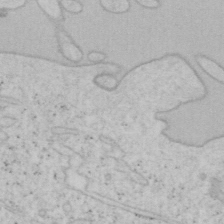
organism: Human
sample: HeLa cells